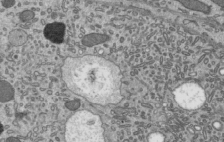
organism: Mouse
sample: Mouse epididymis efferent ductule cilia